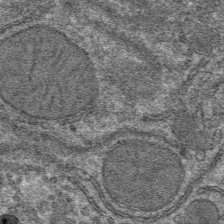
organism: Mouse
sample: Mouse hepatocytes